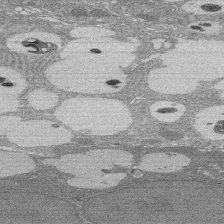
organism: Rat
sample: Salivary granule